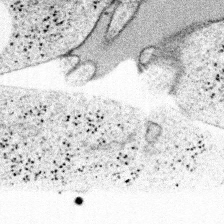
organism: Human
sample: HeLa cells